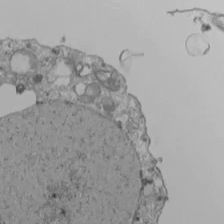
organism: Human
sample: Jurkat E6-1 and CD4 cells